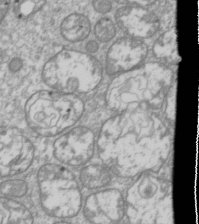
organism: Drosophila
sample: Cell division; meiosis; drosophila spermatocytes